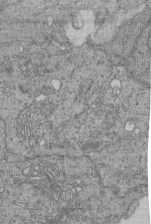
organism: Human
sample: Retinal organoid Rod and Cone cells